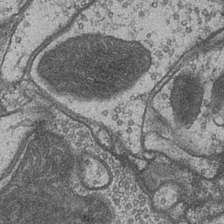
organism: Drosophila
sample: Optic medulla